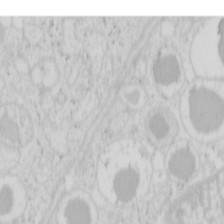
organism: Mouse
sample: Pancreas